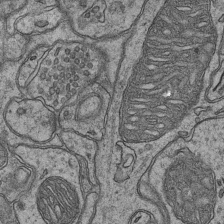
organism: Mouse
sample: CA1 Hippocampus